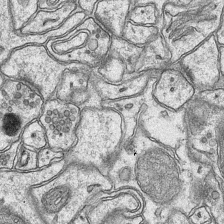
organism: Mouse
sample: CA1 Hippocampus